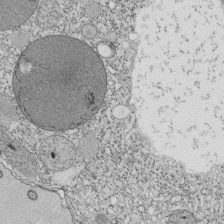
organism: Tetrahymena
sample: Cilia in tetrahymena